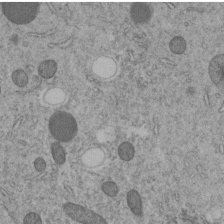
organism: C. elegans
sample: C. elegans embryo early stage